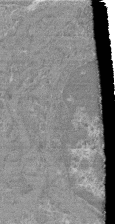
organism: Mouse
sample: Glomerulus